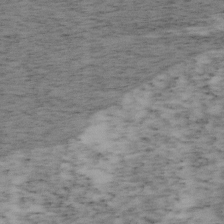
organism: Mouse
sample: OT-I killer T cells with ID8 ovarian cancer cells